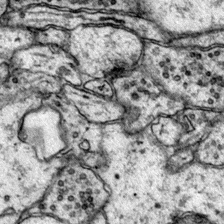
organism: Mouse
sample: Primary visual cortex